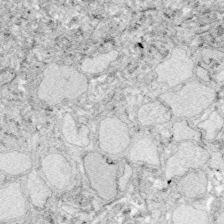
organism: Zebrafish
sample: Whole-Brain